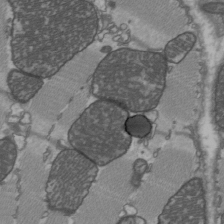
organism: C57BL Mouse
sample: Heart